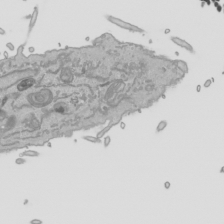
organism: Human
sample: Mitochondria in HCT116 cells